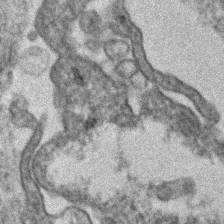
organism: Human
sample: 1205lu cells